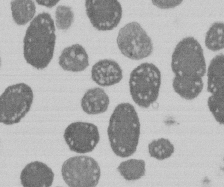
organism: E. coli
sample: Bacterial nucleoid